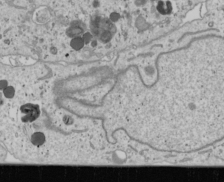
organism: Human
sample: Mitochondria in U2OS cells